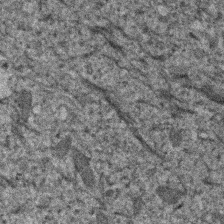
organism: Human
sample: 1205lu cells